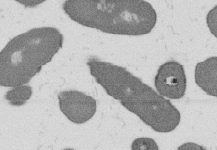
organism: B. subtilis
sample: Bacterial spore